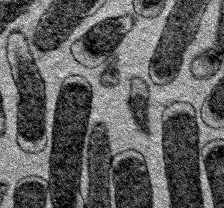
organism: E. coli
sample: E. Coli Bacteria